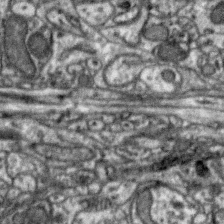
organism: Zebra finch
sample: Brain